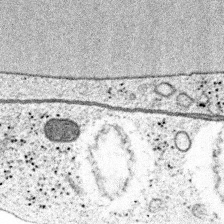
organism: Human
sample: HeLa cells